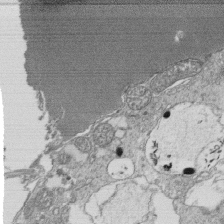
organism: Tetrahymena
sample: Cilia in tetrahymena